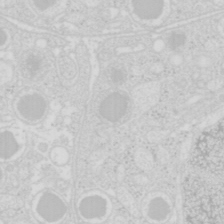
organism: Mouse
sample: Pancreas